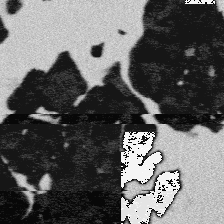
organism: Platynereis dumerilii